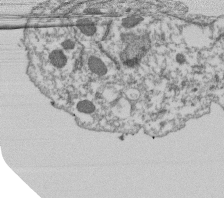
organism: Dictyostelium discoideum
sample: Dictyostelium multivesicular bodies